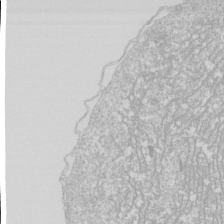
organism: Drosophila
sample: Cell division; meiosis; drosophila spermatocytes